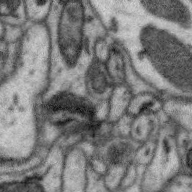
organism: Zebra finch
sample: Brain